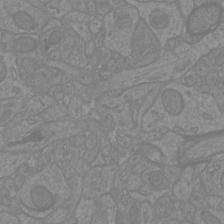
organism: Mouse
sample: Cortical neurons